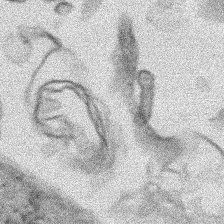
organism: Human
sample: Mitochondria in HCT116 cells